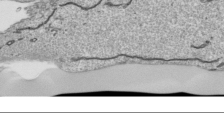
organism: Human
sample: Mitochondria in HCT116 cells